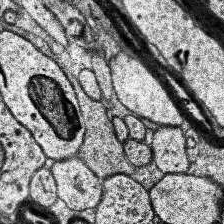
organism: Human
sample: Temporal Lobe